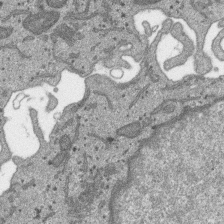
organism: Human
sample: Lung epithelial cells infected with SARS-CoV-2